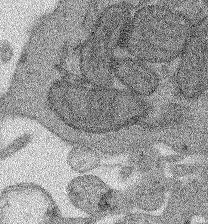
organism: Human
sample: HeLa cells